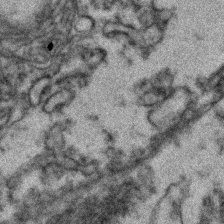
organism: Zebrafish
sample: Zebrafish embryo